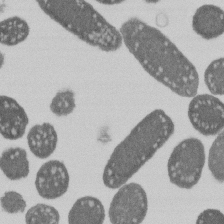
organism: E. coli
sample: Bacterial nucleoid